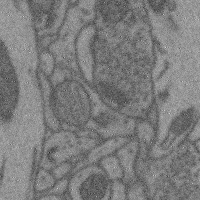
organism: Mouse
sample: Cerebral cortex